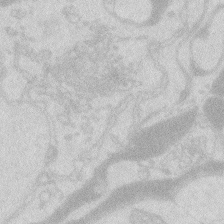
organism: Zebrafish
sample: Macrophage